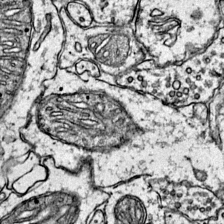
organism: Mouse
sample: Primary visual cortex